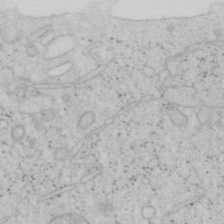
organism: Human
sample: HeLa cells